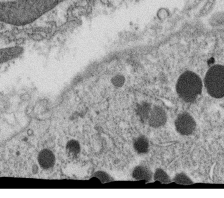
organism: C. elegans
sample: C. elegans oocyte; sperm cells